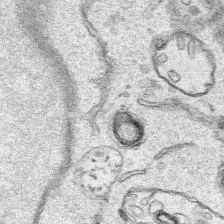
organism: Human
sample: Mitochondria in HCT116 cells